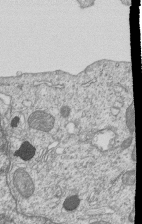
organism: Human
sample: MDA-MB-231 cells